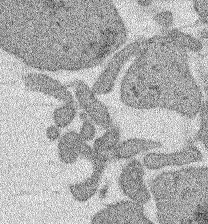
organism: Human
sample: HeLa cells